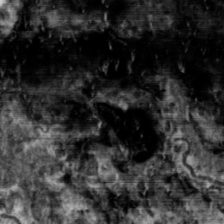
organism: Toxoplasma gondii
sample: Parasites in a vacuole inside a host cell